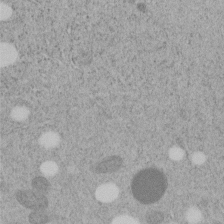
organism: C. elegans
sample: C. elegans embryo early stage